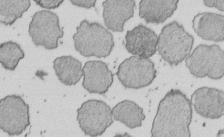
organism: E. coli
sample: Bacterial nucleoid